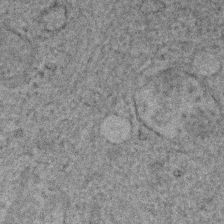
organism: Human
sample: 1205lu cells